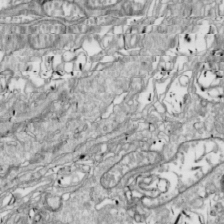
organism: Drosophila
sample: Cell division; meiosis; drosophila spermatocytes